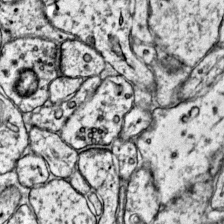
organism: Mouse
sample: Primary visual cortex